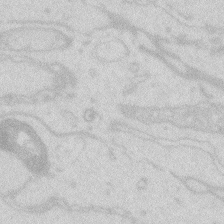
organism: Zebrafish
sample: Macrophage